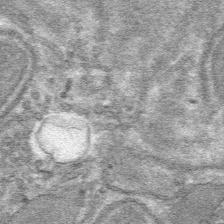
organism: Mouse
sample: Mouse hepatocytes